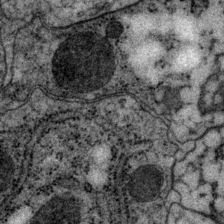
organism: P. pacificus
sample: Pharynx